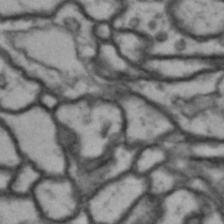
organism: Drosophila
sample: Brain